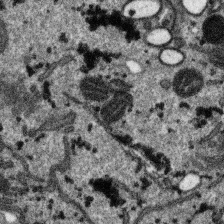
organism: Human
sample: Lung epithelial cells infected with SARS-CoV-2